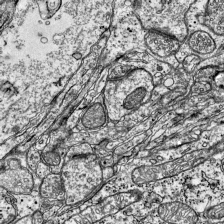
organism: Mouse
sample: Visual Cortex